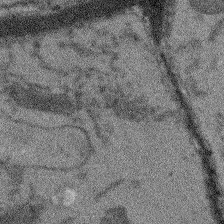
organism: Arabidopsis thaliana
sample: Root tip